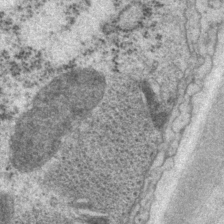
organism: P. pacificus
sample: Pharynx